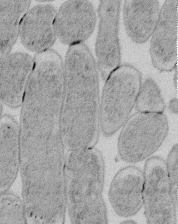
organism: E. coli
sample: Bacterial nucleoid